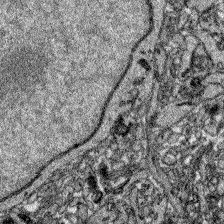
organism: Zebrafish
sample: Larval olfactory bulb